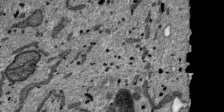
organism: Human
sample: Lung epithelial cells, uninfected (mock) control